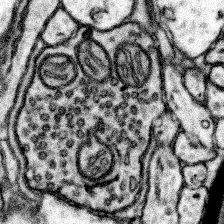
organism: Mouse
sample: Somatosensory cortex neuropil